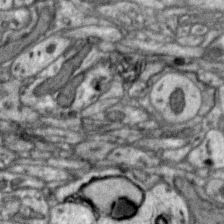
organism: Zebra finch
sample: Brain